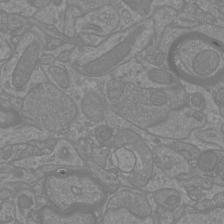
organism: Mouse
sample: Cortical neurons